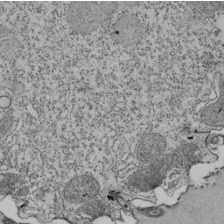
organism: Tetrahymena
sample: Cilia in tetrahymena